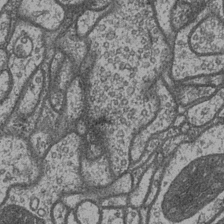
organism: Drosophila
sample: Optic medulla